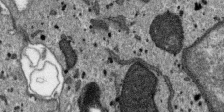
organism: Human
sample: Lung epithelial cells, uninfected (mock) control